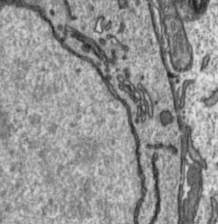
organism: Toxoplasma gondii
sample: Parasites in a vacuole inside a host cell